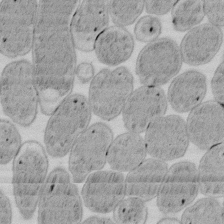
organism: E. coli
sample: Bacterial nucleoid